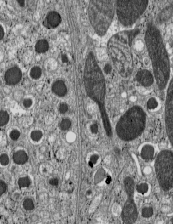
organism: C57BL Mouse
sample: Pancreatic islet